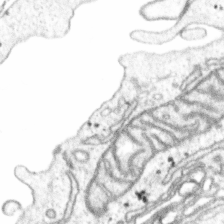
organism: Human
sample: HeLa cells